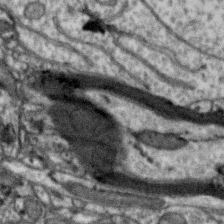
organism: Zebra finch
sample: Brain